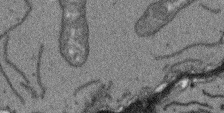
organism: Arabidopsis thaliana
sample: Root tip